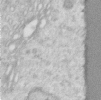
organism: Human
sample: Centriole in RPE cells